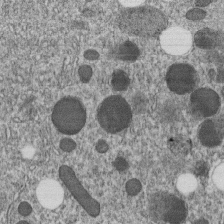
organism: C. elegans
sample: C. elegans embryo early stage